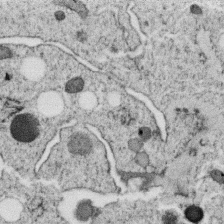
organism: C. elegans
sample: C. elegans oocyte; sperm cells